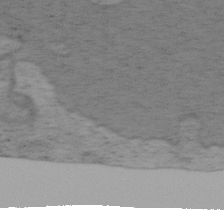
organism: Mouse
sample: OT-I killer T cells with ID8 ovarian cancer cells